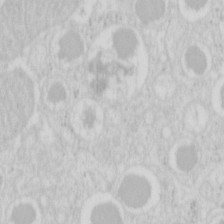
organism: Mouse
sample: Pancreas